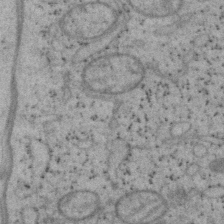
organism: Human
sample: HeLa cells